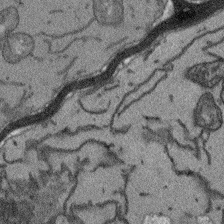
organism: Arabidopsis thaliana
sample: Root tip